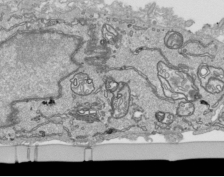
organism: Human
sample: Mitochondria in HCT116 cells